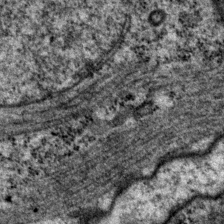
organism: P. pacificus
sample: Pharynx